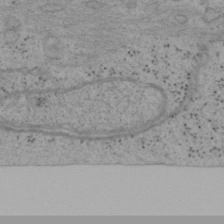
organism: Human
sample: HeLa cells